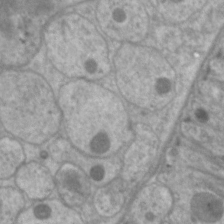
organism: C. elegans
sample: Pharynx